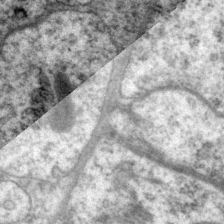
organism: P. pacificus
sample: Pharynx